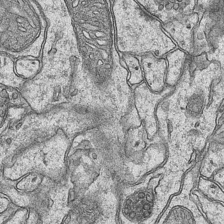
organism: Mouse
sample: CA1 Hippocampus